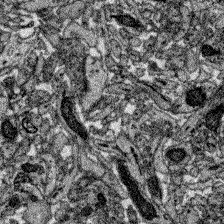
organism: Zebrafish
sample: Larval olfactory bulb